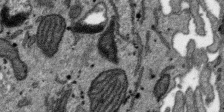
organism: Human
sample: Lung epithelial cells, uninfected (mock) control